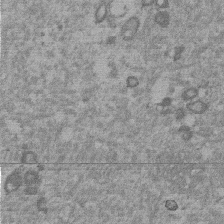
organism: Mouse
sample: Dividing mouse embryo 1 cell stage